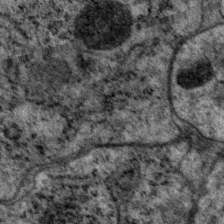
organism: P. pacificus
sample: Pharynx